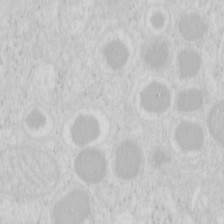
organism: Mouse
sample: Pancreas